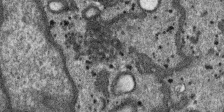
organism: Human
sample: Lung epithelial cells infected with SARS-CoV-2